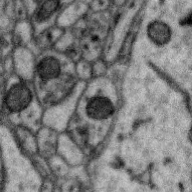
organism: Zebra finch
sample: Brain